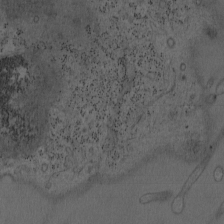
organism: Mouse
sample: OT-I killer T cells with ID8 ovarian cancer cells